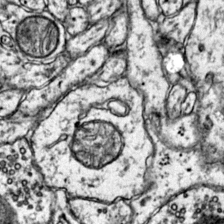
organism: Mouse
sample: Primary visual cortex